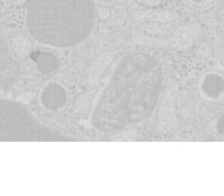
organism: Mouse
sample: Pancreas